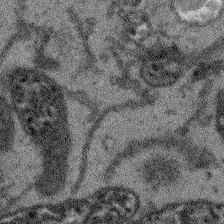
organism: Arabidopsis thaliana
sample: Root tip